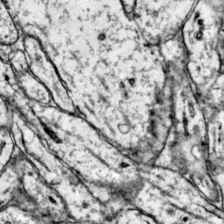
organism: Mouse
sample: Primary visual cortex